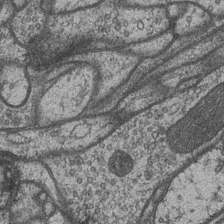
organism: Drosophila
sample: Optic medulla